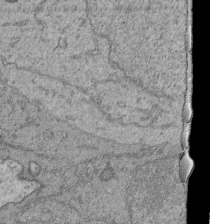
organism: Human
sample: Retinal organoid Rod and Cone cells